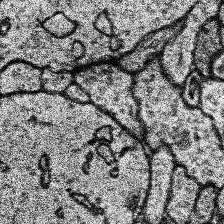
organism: Human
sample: Temporal Lobe